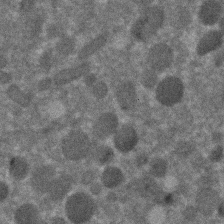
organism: C. elegans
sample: C. elegans embryo